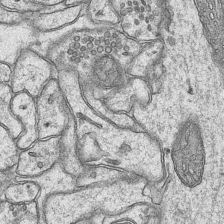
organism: Mouse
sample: CA1 Hippocampus